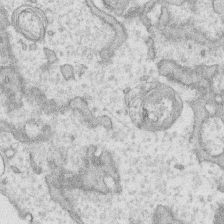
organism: Human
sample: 1205lu cells